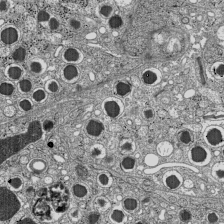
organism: C57BL Mouse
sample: Pancreatic islet